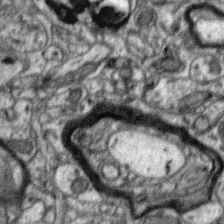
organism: Zebra finch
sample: Brain